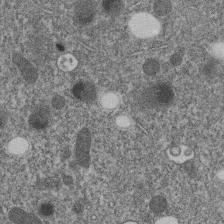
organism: C. elegans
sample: C. elegans embryo early stage